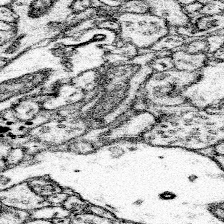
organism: Mouse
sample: Somatosensory cortex neuropil